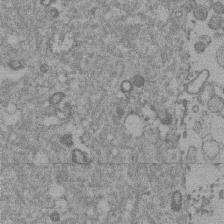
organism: Mouse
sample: Dividing mouse embryo 1 cell stage